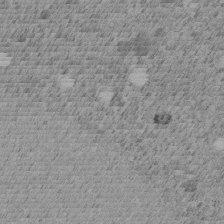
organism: C. elegans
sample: C. elegans embryo early stage